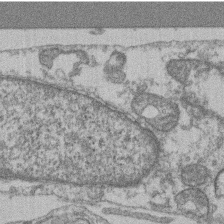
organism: Mouse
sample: T cell stromal cell synapse